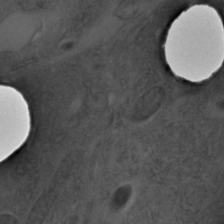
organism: C. elegans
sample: C. elegans embryo